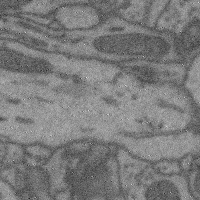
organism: Mouse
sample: Cerebral cortex